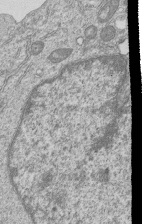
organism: Human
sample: MDA-MB-231 cells